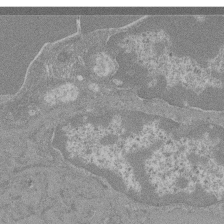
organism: Mouse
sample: Glomerulus